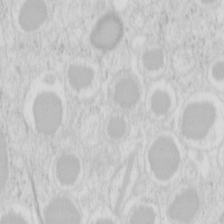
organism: Mouse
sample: Pancreas